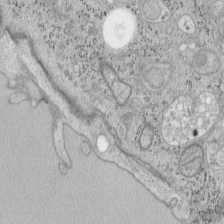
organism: Mouse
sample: OT-I killer T cells with ID8 ovarian cancer cells